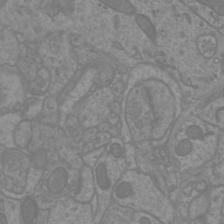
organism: Mouse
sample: Cortical neurons